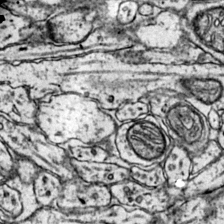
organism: Mouse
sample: Primary visual cortex